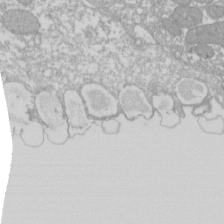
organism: Xenopus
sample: Cilia; centrioles in frog embryo cells